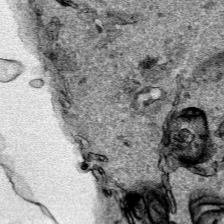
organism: Human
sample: Mitochondria in HCT116 cells